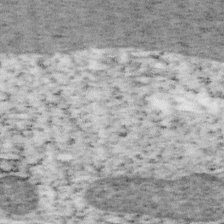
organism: Mouse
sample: OT-I killer T cells with ID8 ovarian cancer cells